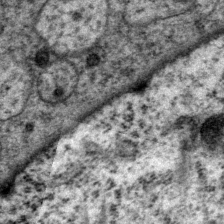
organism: P. pacificus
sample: Pharynx